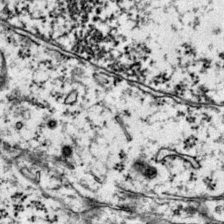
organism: Mouse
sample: Primary visual cortex